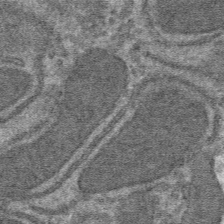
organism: Mouse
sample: Mouse hepatocytes